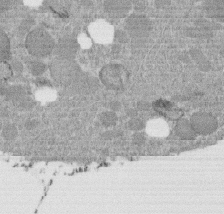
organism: C. elegans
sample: C. elegans embryo early stage